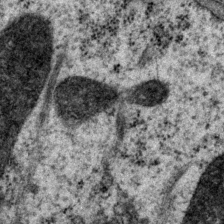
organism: P. pacificus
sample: Pharynx